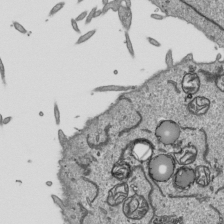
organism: Human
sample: Mitochondria in HCT116 cells